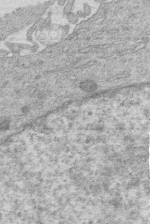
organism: Human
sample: Macrophage cells